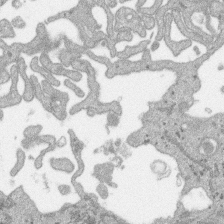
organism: Human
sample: Lung epithelial cells infected with SARS-CoV-2